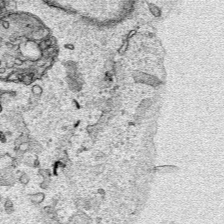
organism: Human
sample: Mitochondria in HCT116 cells